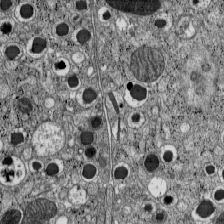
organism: C57BL Mouse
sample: Pancreatic islet